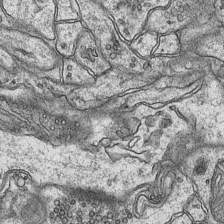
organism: Mouse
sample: CA1 Hippocampus